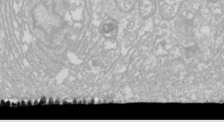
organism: Drosophila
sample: Cell division; meiosis; drosophila spermatocytes